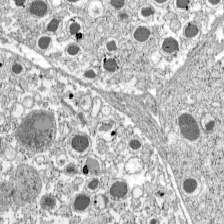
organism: C57BL Mouse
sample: Pancreatic islet